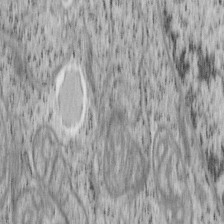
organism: Human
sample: HeLa cells